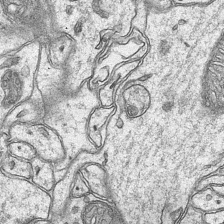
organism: Mouse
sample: CA1 Hippocampus